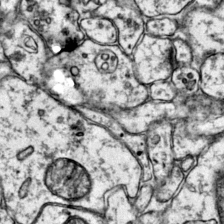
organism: Mouse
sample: Primary visual cortex